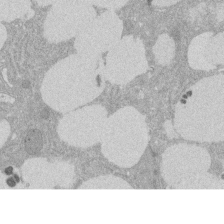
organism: Rat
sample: Salivary granule